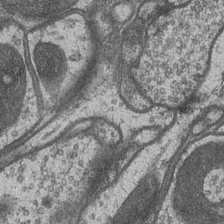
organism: Drosophila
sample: Optic medulla